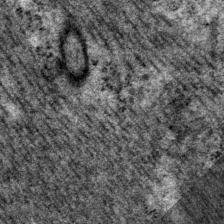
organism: P. pacificus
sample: Pharynx